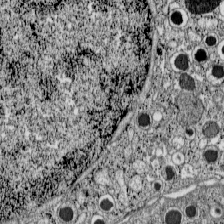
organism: C57BL Mouse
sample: Pancreatic islet